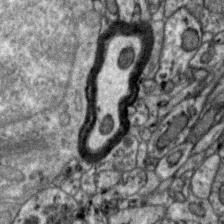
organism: Zebra finch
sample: Brain